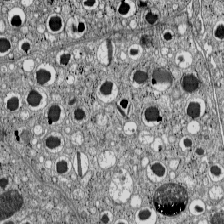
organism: C57BL Mouse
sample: Pancreatic islet